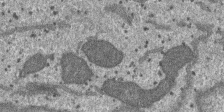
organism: Human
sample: Lung epithelial cells infected with SARS-CoV-2